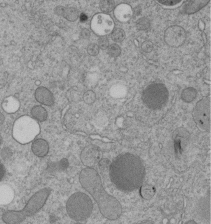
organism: C. elegans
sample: C. elegans embryo early stage